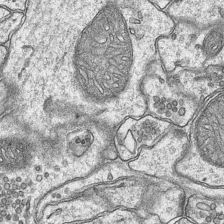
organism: Mouse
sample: CA1 Hippocampus